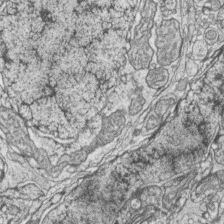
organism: Zebrafish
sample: synaptic ribbons in rod cells and cone cells